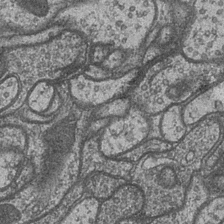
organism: Drosophila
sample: Optic medulla